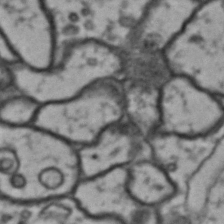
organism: Drosophila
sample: Brain